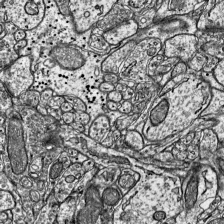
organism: Mouse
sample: Visual Cortex